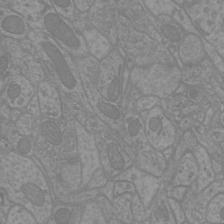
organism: Mouse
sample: Cortical neurons